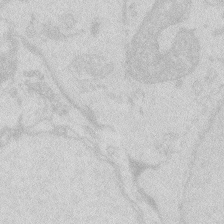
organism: Zebrafish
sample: Macrophage